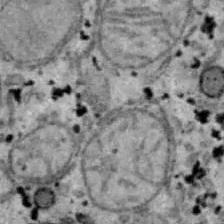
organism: Mouse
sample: Liver from an obese (ob/ob) mouse